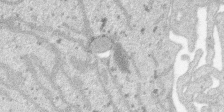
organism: Human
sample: Lung epithelial cells infected with SARS-CoV-2